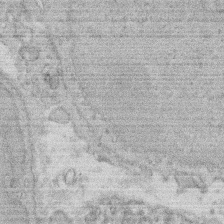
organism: Rat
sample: Salivary granule